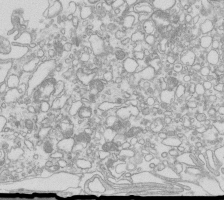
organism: Mouse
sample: Macrophages